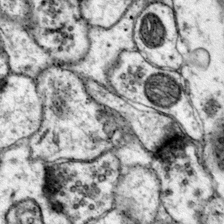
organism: Mouse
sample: Primary visual cortex